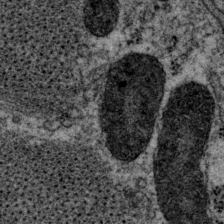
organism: P. pacificus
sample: Pharynx